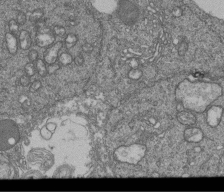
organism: Human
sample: Retinal organoid Rod and Cone cells